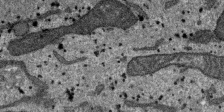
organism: Human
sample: Lung epithelial cells, uninfected (mock) control